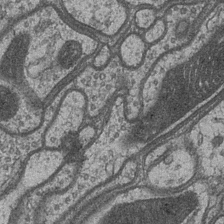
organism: Drosophila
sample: Optic medulla